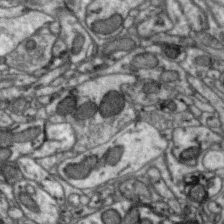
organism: Zebra finch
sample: Brain